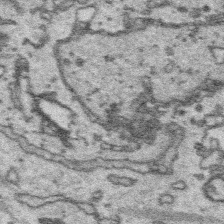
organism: Platynereis dumerilii